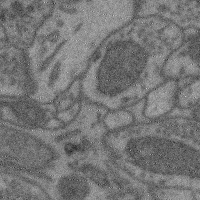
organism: Mouse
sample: Cerebral cortex